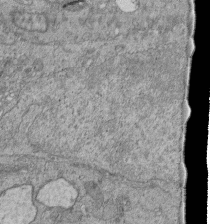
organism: Human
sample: Retinal organoid Rod and Cone cells